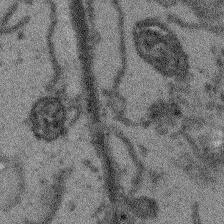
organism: Arabidopsis thaliana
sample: Root tip